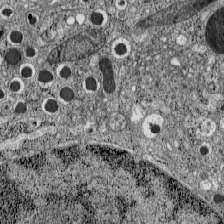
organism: C57BL Mouse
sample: Pancreatic islet